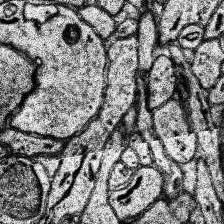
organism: Human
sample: Temporal Lobe